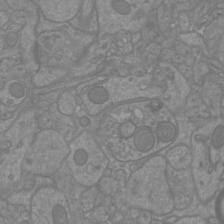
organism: Mouse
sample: Cortical neurons